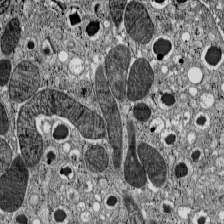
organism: C57BL Mouse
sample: Pancreatic islet